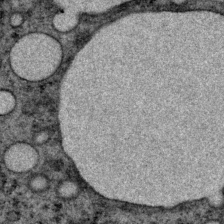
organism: P. pacificus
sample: Pharynx